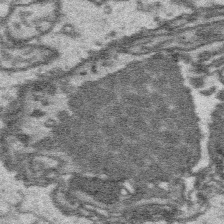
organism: Platynereis dumerilii